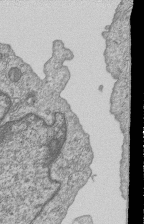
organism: Human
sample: MDA-MB-231 cells